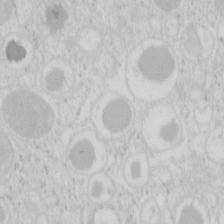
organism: Mouse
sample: Pancreas